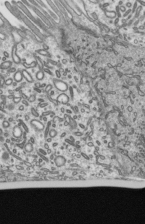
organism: Mouse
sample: Mouse epididymis efferent ductule cilia